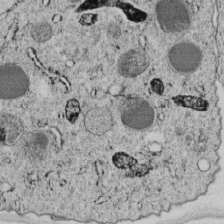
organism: C. elegans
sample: C. elegans embryo early stage